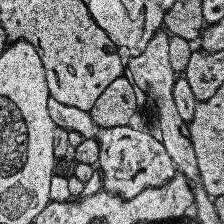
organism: Human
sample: Temporal Lobe